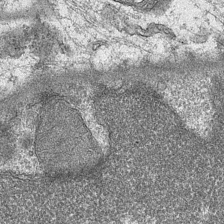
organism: Mouse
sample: CA1 Hippocampus